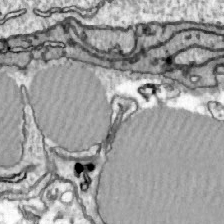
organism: Zebrafish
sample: Actinotrichia fibers